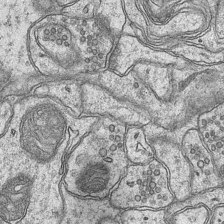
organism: Mouse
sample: CA1 Hippocampus